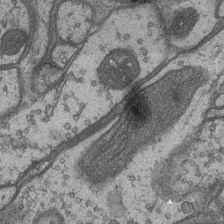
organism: Drosophila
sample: Optic medulla